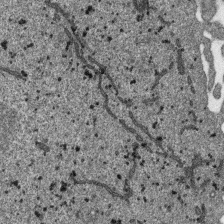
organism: Human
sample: Lung epithelial cells infected with SARS-CoV-2